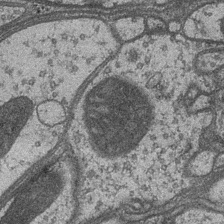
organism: Drosophila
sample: Optic medulla